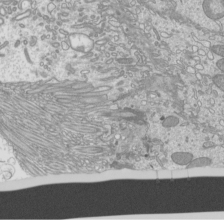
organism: Mouse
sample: Cilia; mouse epididymis